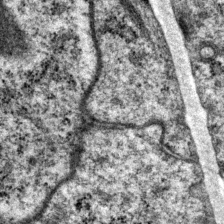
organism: P. pacificus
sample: Pharynx